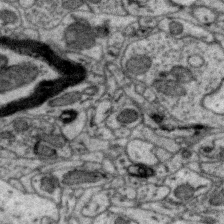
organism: Zebra finch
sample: Brain